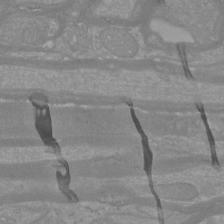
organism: Mouse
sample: Cortical neurons